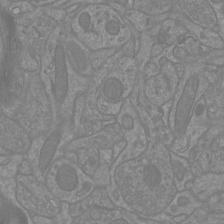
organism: Mouse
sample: Cortical neurons